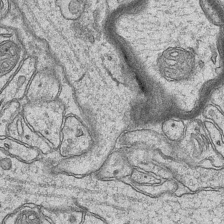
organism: Mouse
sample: CA1 Hippocampus